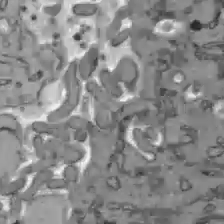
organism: C57BL Mouse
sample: Liver